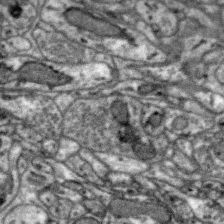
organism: Zebra finch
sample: Brain